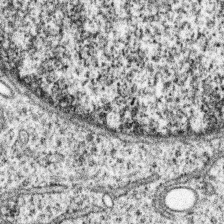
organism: Human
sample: HeLa cells